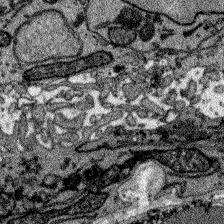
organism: Zebrafish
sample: Larval olfactory bulb